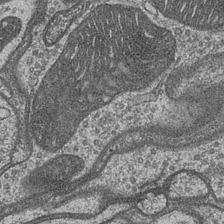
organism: Drosophila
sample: Optic medulla